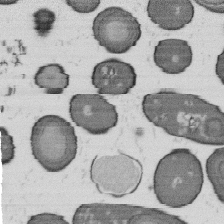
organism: B. subtilis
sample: Bacterial spore